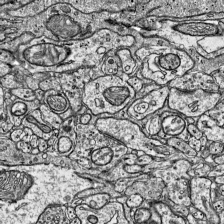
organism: Mouse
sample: Visual Cortex